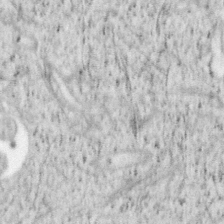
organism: Mouse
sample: OT-I killer T cells with ID8 ovarian cancer cells